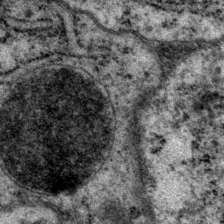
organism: P. pacificus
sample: Pharynx